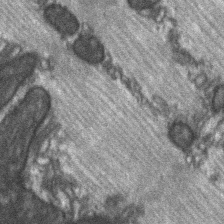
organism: C57BL Mouse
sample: Soleus